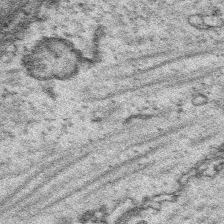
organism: Platynereis dumerilii